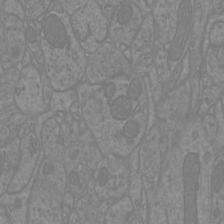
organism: Mouse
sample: Cortical neurons